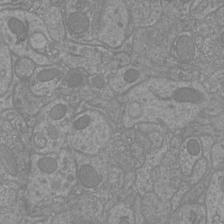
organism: Mouse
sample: Cortical neurons